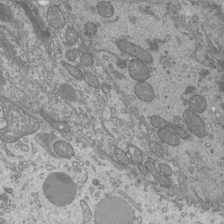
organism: Mouse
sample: Cilia; mouse epididymis